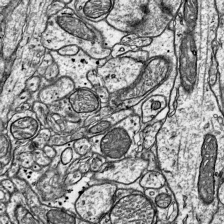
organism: Mouse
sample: Visual Cortex